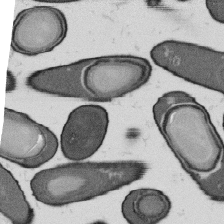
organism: B. subtilis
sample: Bacterial spore